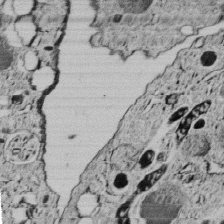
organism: C. elegans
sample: C. elegans embryo early stage